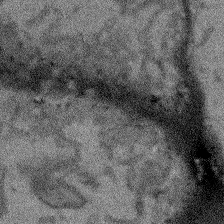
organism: Arabidopsis thaliana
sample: Root tip